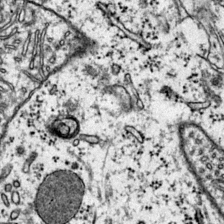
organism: Mouse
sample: Primary visual cortex